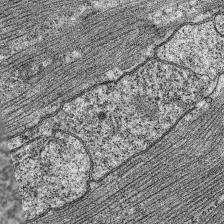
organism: C. elegans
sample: Pharynx